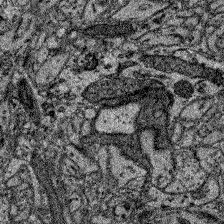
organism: Zebrafish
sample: Larval olfactory bulb